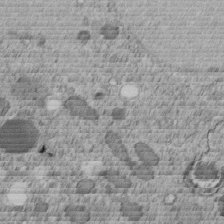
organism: C. elegans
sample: C. elegans embryo early stage